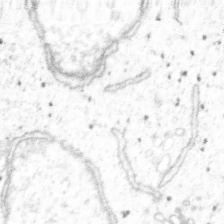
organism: Human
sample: HeLa cells